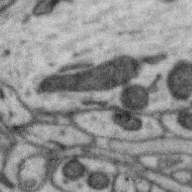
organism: Zebra finch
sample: Brain